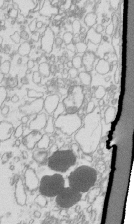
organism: Mouse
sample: Macrophages